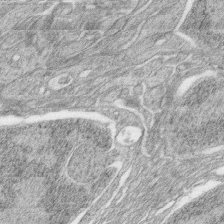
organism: Zebrafish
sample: synaptic ribbons in rod cells and cone cells